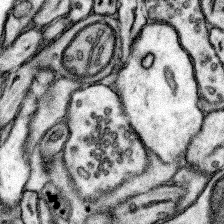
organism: Mouse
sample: Somatosensory cortex neuropil